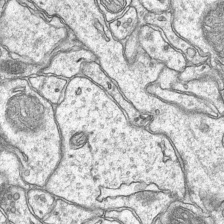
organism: Mouse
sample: CA1 Hippocampus